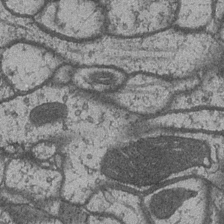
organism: Drosophila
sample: Optic medulla